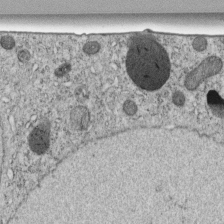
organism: C. elegans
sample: C. elegans embryo early stage